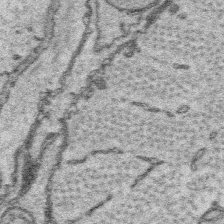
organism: Platynereis dumerilii